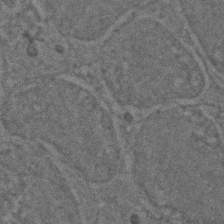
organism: Zebrafish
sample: Zebrafish embryo